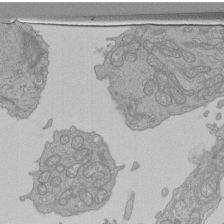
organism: Human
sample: Retinal organoid Rod and Cone cells